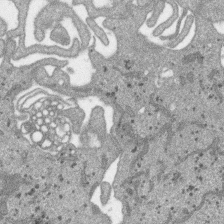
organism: Human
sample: Lung epithelial cells infected with SARS-CoV-2